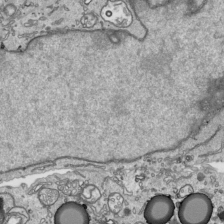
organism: Human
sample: Mitochondria in HCT116 cells